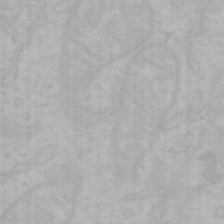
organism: Mouse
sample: Choroid plexus